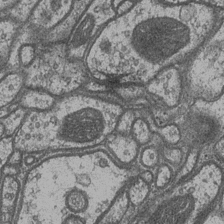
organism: Drosophila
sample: Optic medulla